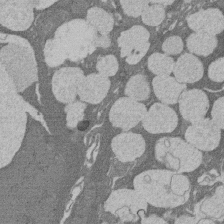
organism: Rat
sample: Salivary granule